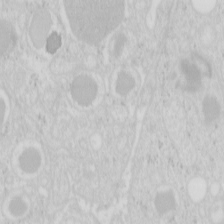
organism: Mouse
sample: Pancreas